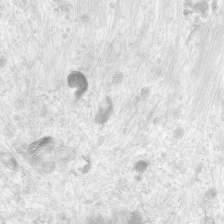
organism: Human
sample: Neocortex